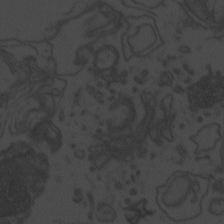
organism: Zebrafish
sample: Macrophage infected with Toxoplasma gondii